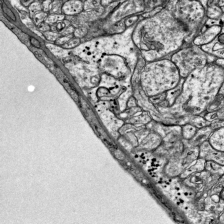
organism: Mouse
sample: Visual Cortex